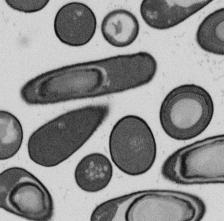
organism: B. subtilis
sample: Bacterial spore